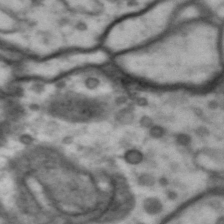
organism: Drosophila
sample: Brain